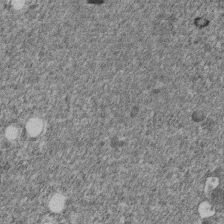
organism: C. elegans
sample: C. elegans embryo early stage